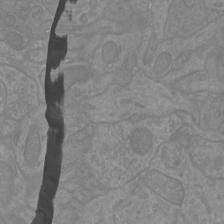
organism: Mouse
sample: Cortical neurons